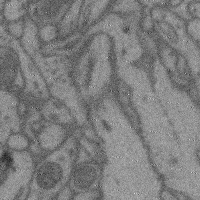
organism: Mouse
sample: Cerebral cortex